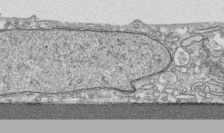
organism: Human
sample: CRL-1474